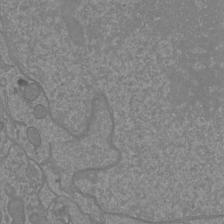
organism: Mouse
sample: Cortical neurons